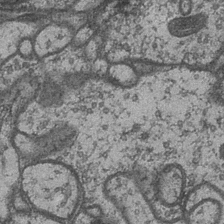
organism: Drosophila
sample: Optic medulla